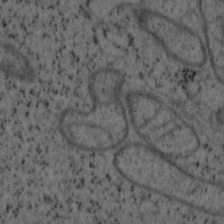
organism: Human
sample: HeLa cells